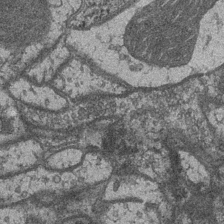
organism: Drosophila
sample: Optic medulla